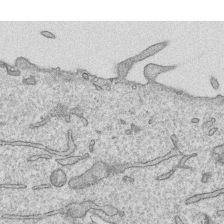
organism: Human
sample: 1205lu cells